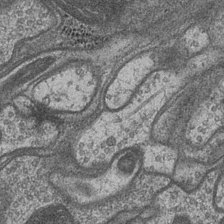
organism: Drosophila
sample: Optic medulla